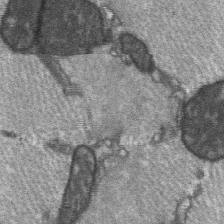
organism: C57BL Mouse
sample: Soleus